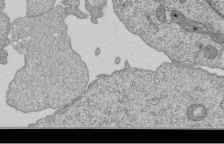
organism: Human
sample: MDA-MB-231 cells